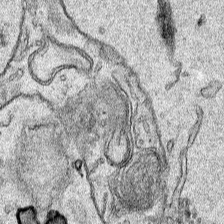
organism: Human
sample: Mitochondria in HCT116 cells